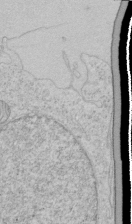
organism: Human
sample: Mitochondria in HCT116 cells